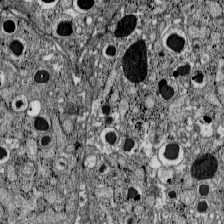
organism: C57BL Mouse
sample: Pancreatic islet